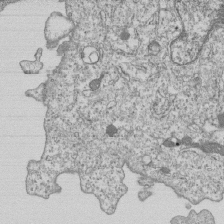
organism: Human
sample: MDA-MB-231 cells